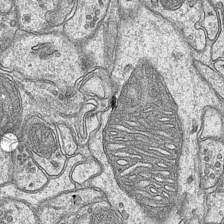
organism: Mouse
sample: CA1 Hippocampus